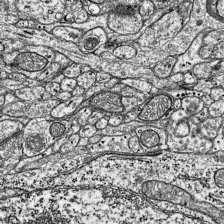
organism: Mouse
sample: Visual Cortex